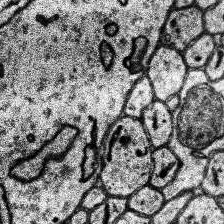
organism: Human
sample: Temporal Lobe